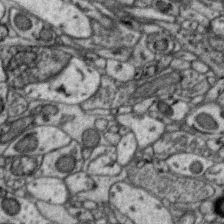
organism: Zebra finch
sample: Brain